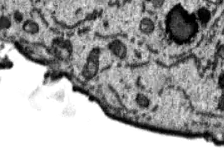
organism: Human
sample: HeLa cells